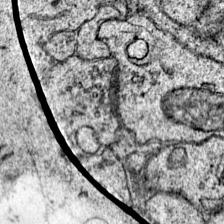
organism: Mouse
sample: Primary visual cortex